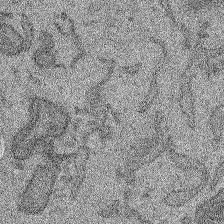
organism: Human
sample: HeLa cells